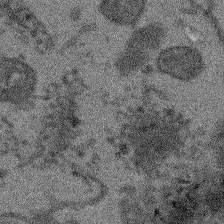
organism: Arabidopsis thaliana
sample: Root tip